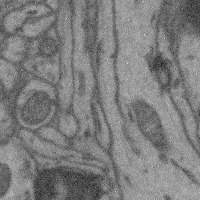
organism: Mouse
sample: Cerebral cortex